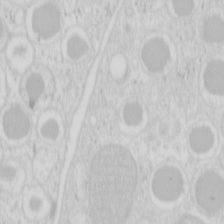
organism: Mouse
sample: Pancreas